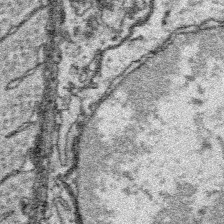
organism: Platynereis dumerilii